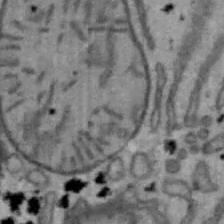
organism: Mouse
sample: Liver